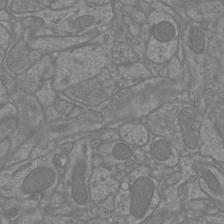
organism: Mouse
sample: Cortical neurons